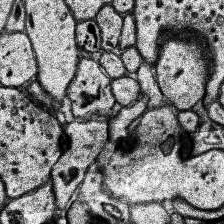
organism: Human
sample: Temporal Lobe